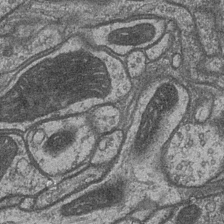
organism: Drosophila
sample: Optic medulla